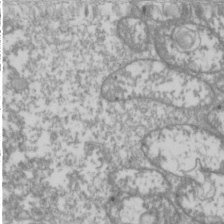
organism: Drosophila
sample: Cell division; meiosis; drosophila spermatocytes